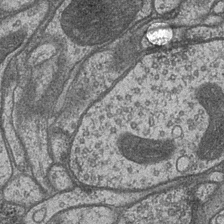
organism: Drosophila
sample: Optic medulla